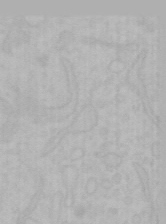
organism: Mouse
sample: Choroid plexus